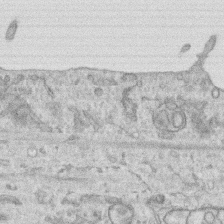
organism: Human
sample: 1205lu cells